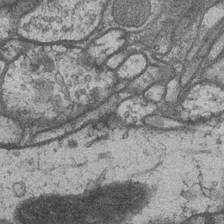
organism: Drosophila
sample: Optic medulla